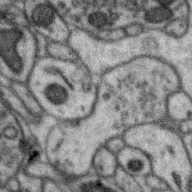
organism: Zebra finch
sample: Brain